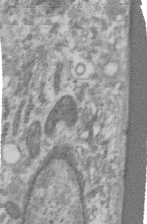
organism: Human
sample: Centriole in RPE cells